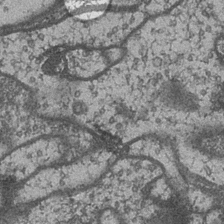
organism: Drosophila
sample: Optic medulla